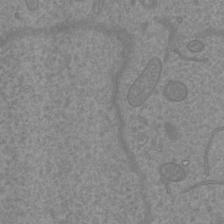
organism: Mouse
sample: Cortical neurons